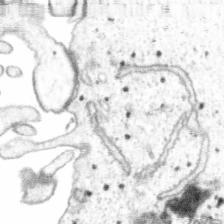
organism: Human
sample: HeLa cells